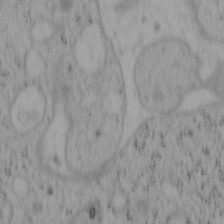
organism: Mouse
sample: OT-I killer T cells with ID8 ovarian cancer cells